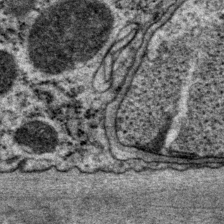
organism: P. pacificus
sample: Pharynx